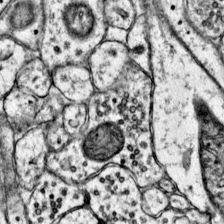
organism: Mouse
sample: Primary visual cortex